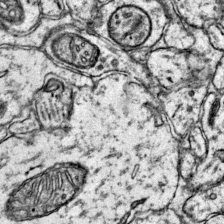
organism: Mouse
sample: Primary visual cortex